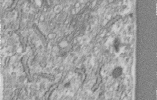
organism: Human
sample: Centriole in RPE cells